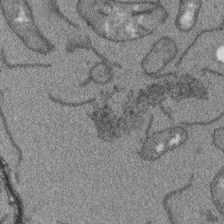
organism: Arabidopsis thaliana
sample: Root tip